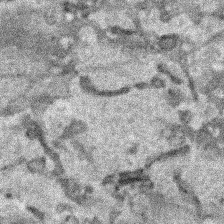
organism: Human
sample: Mitochondria in HCT116 cells